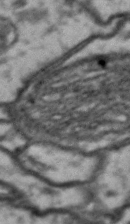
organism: Drosophila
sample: Brain